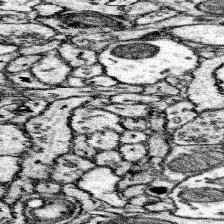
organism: Mouse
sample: Somatosensory cortex neuropil